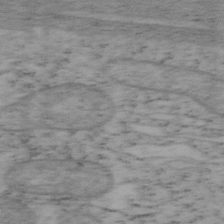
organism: Mouse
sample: OT-I killer T cells with ID8 ovarian cancer cells